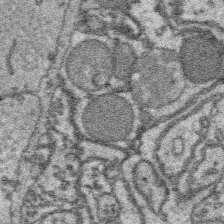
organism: Platynereis dumerilii